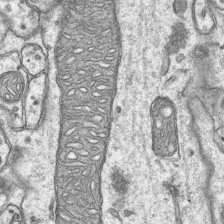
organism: Mouse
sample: CA1 Hippocampus